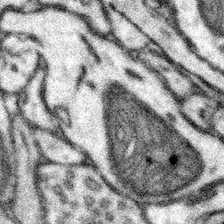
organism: Mouse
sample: Somatosensory cortex neuropil